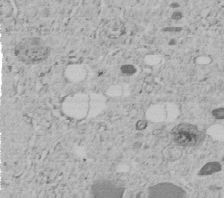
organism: C. elegans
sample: C. elegans embryo early stage